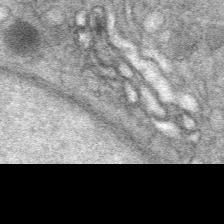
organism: Mouse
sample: Mouse Salivary gland